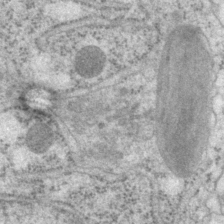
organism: P. pacificus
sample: Pharynx